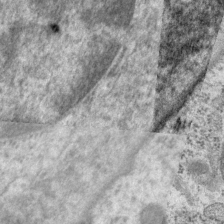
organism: P. pacificus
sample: Pharynx